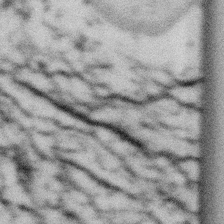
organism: Gemmata obscuriglobus